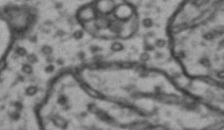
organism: Drosophila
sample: Brain